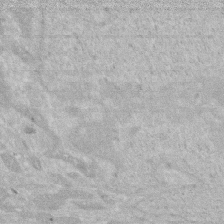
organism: Human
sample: HIV infected U937 cells